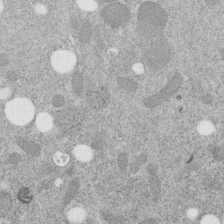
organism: C. elegans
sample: C. elegans embryo early stage